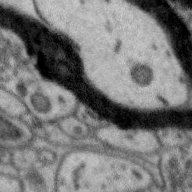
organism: Zebra finch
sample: Brain